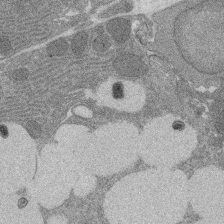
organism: Rat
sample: Salivary granule